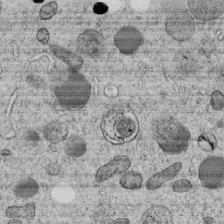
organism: C. elegans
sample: C. elegans embryo early stage